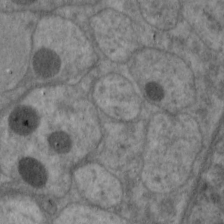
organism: C. elegans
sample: Pharynx